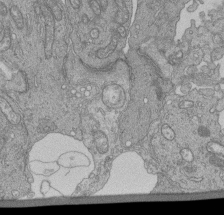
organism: Human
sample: Retinal organoid Rod and Cone cells